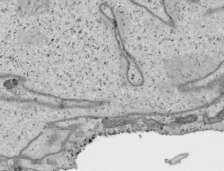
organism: Human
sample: Mitochondria in HCT116 cells